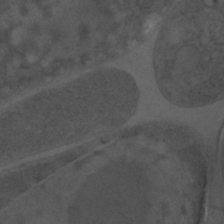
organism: C. elegans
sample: C. elegans embryo